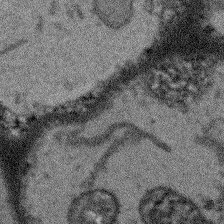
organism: Arabidopsis thaliana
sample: Root tip